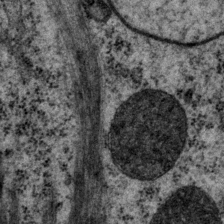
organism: P. pacificus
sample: Pharynx